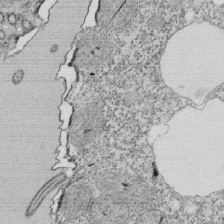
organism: Tetrahymena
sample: Cilia in tetrahymena